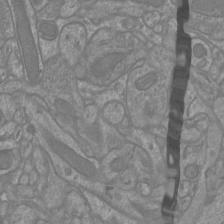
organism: Mouse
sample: Cortical neurons